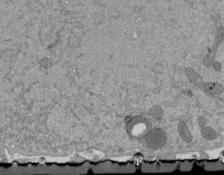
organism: Mouse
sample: ED-1 cell nuclei; centrioles